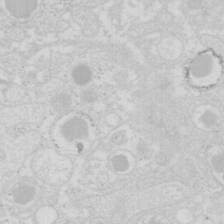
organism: Mouse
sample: Pancreas